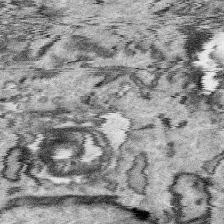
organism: Human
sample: HeLa cells